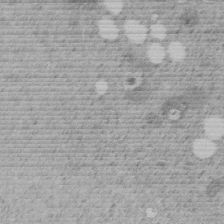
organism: C. elegans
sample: C. elegans embryo early stage